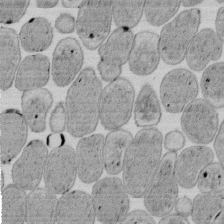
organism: E. coli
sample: Bacterial nucleoid